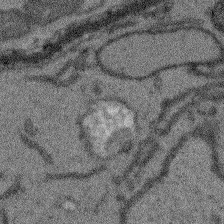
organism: Arabidopsis thaliana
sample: Root tip